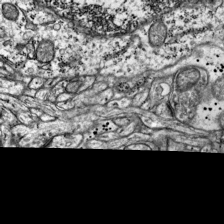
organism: Mouse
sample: Visual Cortex